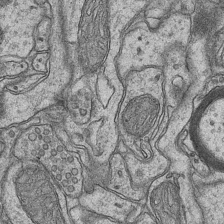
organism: Mouse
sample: CA1 Hippocampus